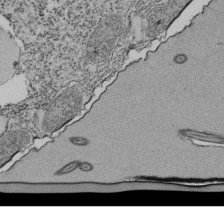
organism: Tetrahymena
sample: Cilia in tetrahymena